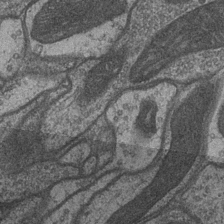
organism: Drosophila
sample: Optic medulla